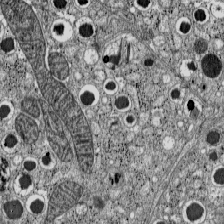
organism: C57BL Mouse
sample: Pancreatic islet